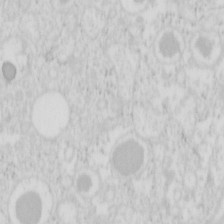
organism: Mouse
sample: Pancreas